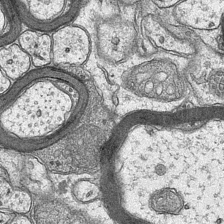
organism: Mouse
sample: CA1 Hippocampus